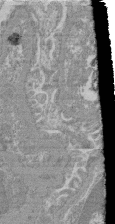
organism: Mouse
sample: Glomerulus